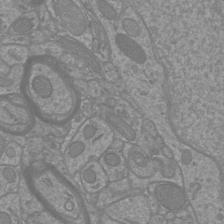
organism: Mouse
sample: Cortical neurons